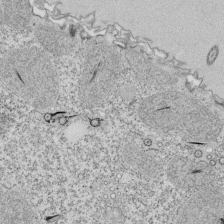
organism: Tetrahymena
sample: Cilia in tetrahymena